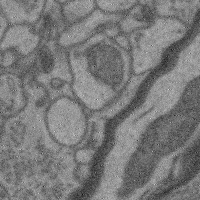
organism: Mouse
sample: Cerebral cortex